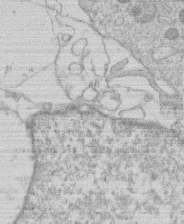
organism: Human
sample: Macrophage cells